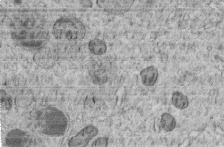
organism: C. elegans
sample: C. elegans embryo early stage